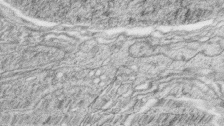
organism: Zebrafish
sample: synaptic ribbons in rod cells and cone cells